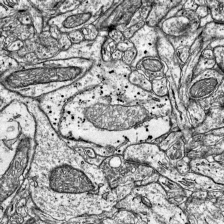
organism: Mouse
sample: Visual Cortex